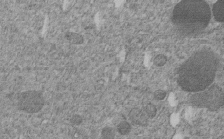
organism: C. elegans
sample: C. elegans embryo early stage